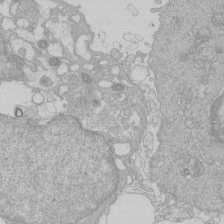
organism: Human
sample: Macrophage cells